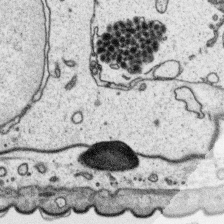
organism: Platynereis dumerilii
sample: Parapodia